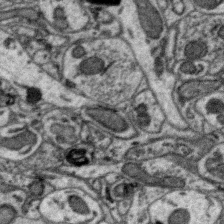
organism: Zebra finch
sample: Brain